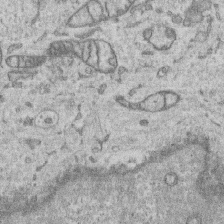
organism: Human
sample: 1205lu cells